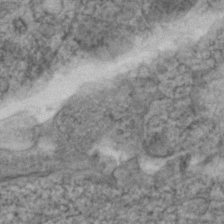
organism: Zebrafish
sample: Zebrafish embryo